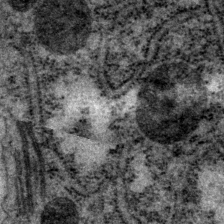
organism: P. pacificus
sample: Pharynx